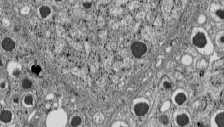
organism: C57BL Mouse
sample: Pancreatic islet